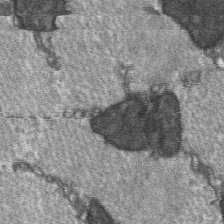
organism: C57BL Mouse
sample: Soleus